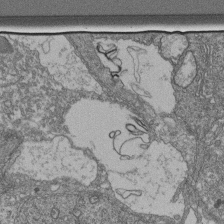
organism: Human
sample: Retinal organoid Rod and Cone cells